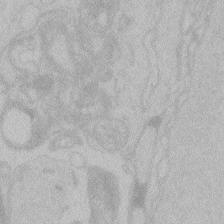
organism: Zebrafish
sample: Macrophage infected with Toxoplasma gondii